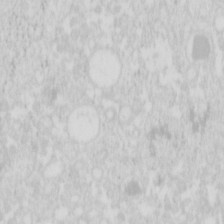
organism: Mouse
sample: Pancreas